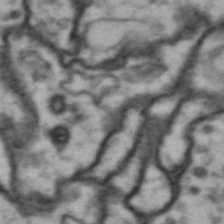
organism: Drosophila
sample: Brain